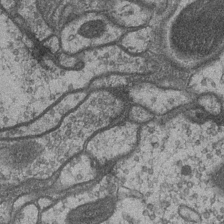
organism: Drosophila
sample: Optic medulla